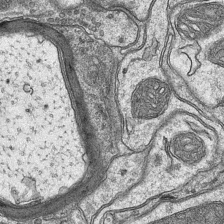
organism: Mouse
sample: CA1 Hippocampus